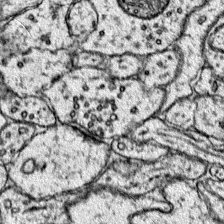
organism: Mouse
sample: Primary visual cortex